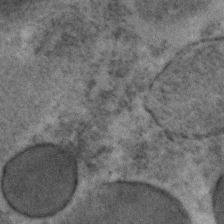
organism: C. elegans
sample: C. elegans embryo